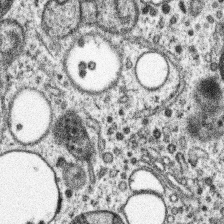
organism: Human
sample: HeLa cells